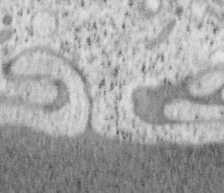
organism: Mouse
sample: OT-I killer T cells with ID8 ovarian cancer cells